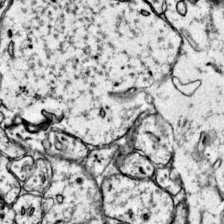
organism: Mouse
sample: Primary visual cortex